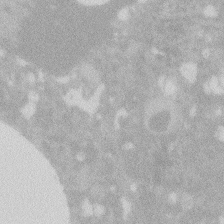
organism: Zebrafish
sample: Macrophage